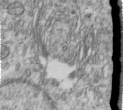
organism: Human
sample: Centriole in RPE cells